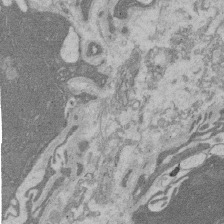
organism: Rat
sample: Salivary granule